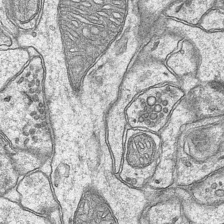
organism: Mouse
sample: CA1 Hippocampus